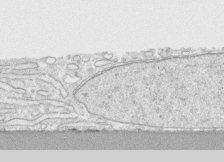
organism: Human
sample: CRL-1474